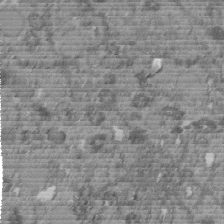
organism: C. elegans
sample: C. elegans embryo early stage